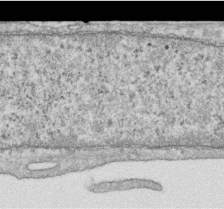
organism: Human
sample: Centriole in RPE cells